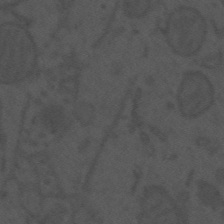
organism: Mouse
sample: Suprachiasmatic nucleus